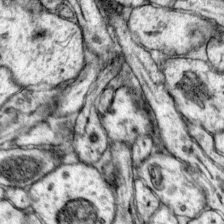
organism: Mouse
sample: Primary visual cortex